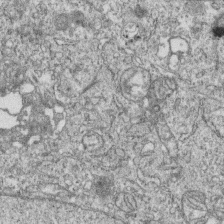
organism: Human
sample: HeLa cell HIV synapse